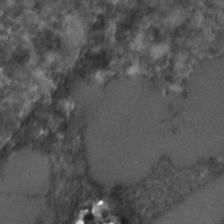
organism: C. elegans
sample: C. elegans embryo